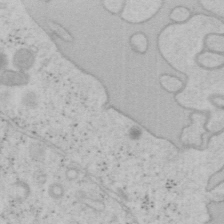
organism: Human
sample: HeLa cells